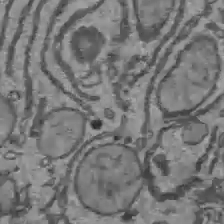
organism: C57BL Mouse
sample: Liver